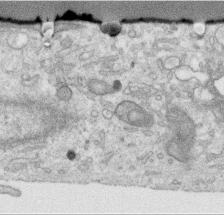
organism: Human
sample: Centriole in RPE cells